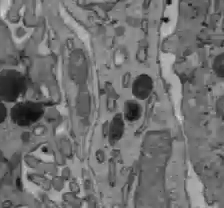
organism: C57BL Mouse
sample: Liver